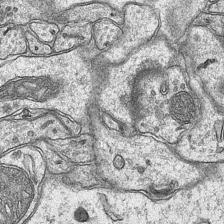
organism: Mouse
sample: CA1 Hippocampus